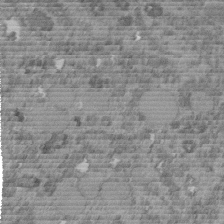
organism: C. elegans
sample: C. elegans embryo early stage